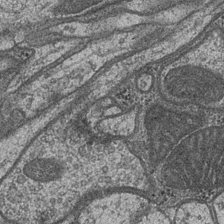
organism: Drosophila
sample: Optic medulla